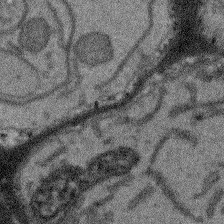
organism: Arabidopsis thaliana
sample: Root tip